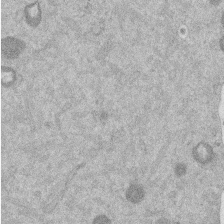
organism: Mouse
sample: Dividing mouse embryo 1 cell stage